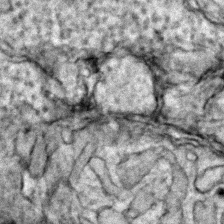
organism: Zebrafish